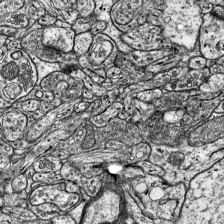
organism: Mouse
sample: Visual Cortex